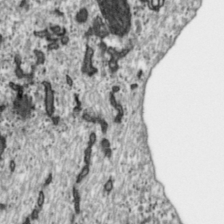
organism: Toxoplasma gondii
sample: Parasites in a vacuole inside a host cell